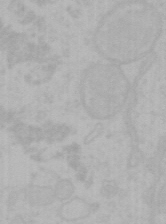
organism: Mouse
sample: Choroid plexus